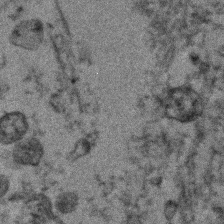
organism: Human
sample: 1205lu cells